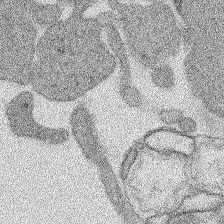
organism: Human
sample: HeLa cells